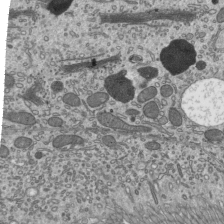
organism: Mouse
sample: Mouse epididymis efferent ductule cilia